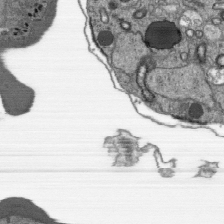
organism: Plasmodium falciparum